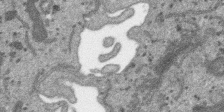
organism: Human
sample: Lung epithelial cells infected with SARS-CoV-2